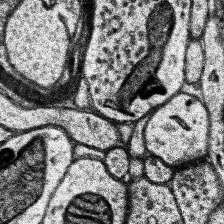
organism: Human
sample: Temporal Lobe